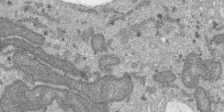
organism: Human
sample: Lung epithelial cells infected with SARS-CoV-2